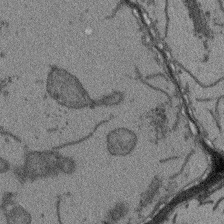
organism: Arabidopsis thaliana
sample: Root tip